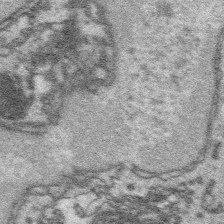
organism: Platynereis dumerilii